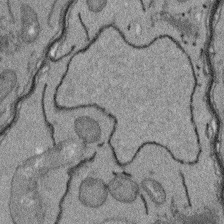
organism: Arabidopsis thaliana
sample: Root tip